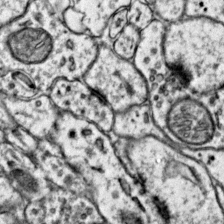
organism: Mouse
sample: Primary visual cortex